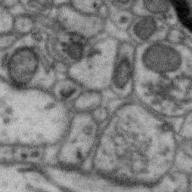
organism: Zebra finch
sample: Brain